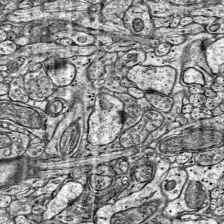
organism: Mouse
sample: Visual Cortex